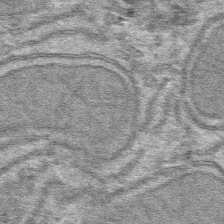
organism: Mouse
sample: Mouse hepatocytes